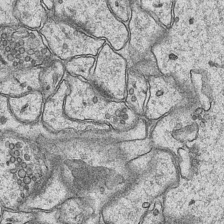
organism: Mouse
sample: CA1 Hippocampus